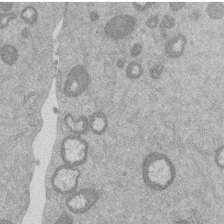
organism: Mouse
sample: Dividing mouse embryo 1 cell stage